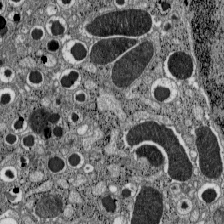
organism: C57BL Mouse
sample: Pancreatic islet